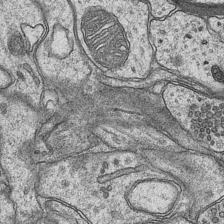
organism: Mouse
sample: CA1 Hippocampus